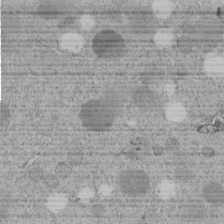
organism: C. elegans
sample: C. elegans embryo early stage